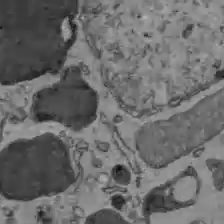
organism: C57BL Mouse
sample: Liver